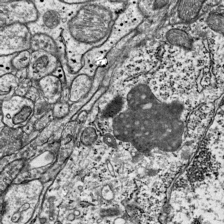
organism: Mouse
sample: Visual Cortex